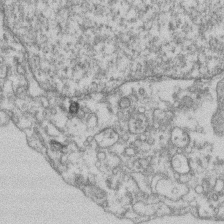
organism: Mouse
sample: T cell stromal cell synapse